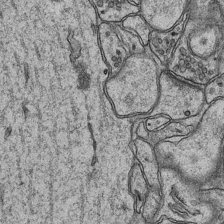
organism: Mouse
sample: CA1 Hippocampus